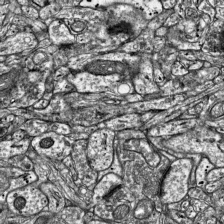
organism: Mouse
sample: Visual Cortex